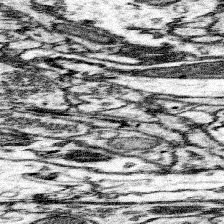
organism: Mouse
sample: Somatosensory cortex neuropil